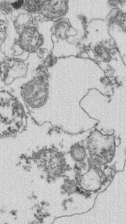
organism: Human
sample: HeLa cell HIV synapse